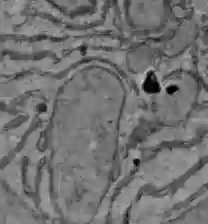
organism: C57BL Mouse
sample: Liver